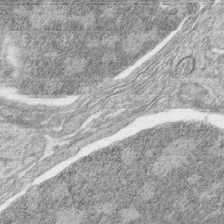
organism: Zebrafish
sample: synaptic ribbons in rod cells and cone cells